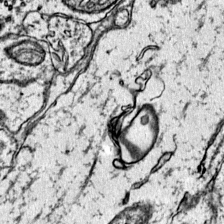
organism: Mouse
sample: Primary visual cortex